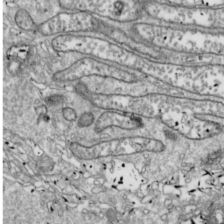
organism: Drosophila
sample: Cell division; meiosis; drosophila spermatocytes